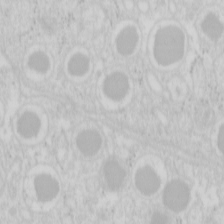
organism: Mouse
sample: Pancreas